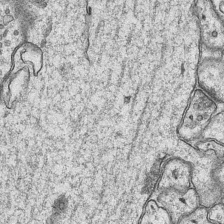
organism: Mouse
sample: CA1 Hippocampus